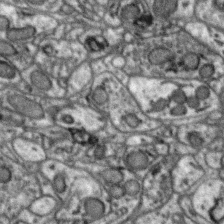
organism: Zebra finch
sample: Brain